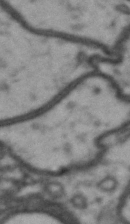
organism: Drosophila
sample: Brain